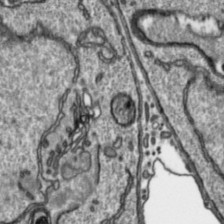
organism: Toxoplasma gondii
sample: Parasites in a vacuole inside a host cell